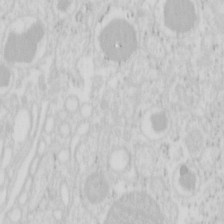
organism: Mouse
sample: Pancreas